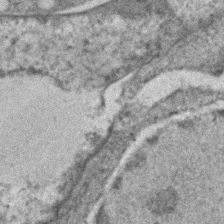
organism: C. elegans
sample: C. elegans embryo